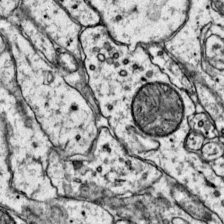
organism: Mouse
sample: Primary visual cortex